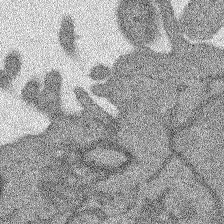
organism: Human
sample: HeLa cells